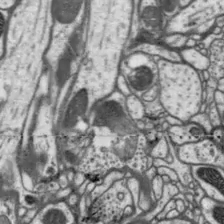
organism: Drosophila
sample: Protocerebral bridge